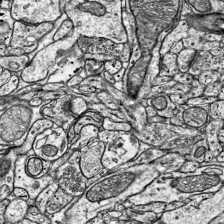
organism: Mouse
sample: Visual Cortex